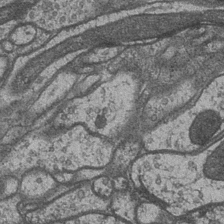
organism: Drosophila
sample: Optic medulla